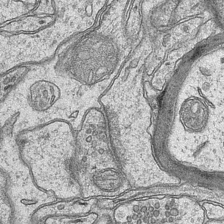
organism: Mouse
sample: CA1 Hippocampus